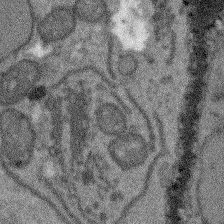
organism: Arabidopsis thaliana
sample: Root tip